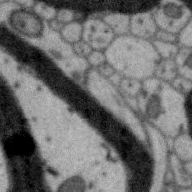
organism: Zebra finch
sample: Brain